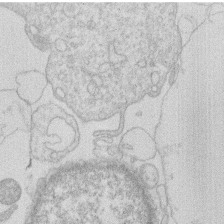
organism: Human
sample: Macrophage cells